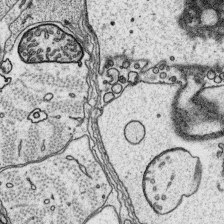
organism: Platynereis dumerilii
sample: Parapodia